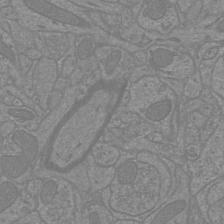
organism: Mouse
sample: Cortical neurons